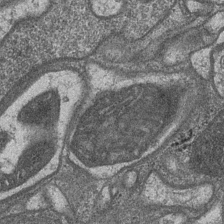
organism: Drosophila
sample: Optic medulla